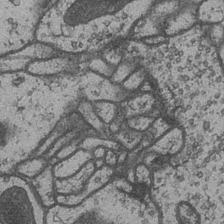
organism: Drosophila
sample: Optic medulla